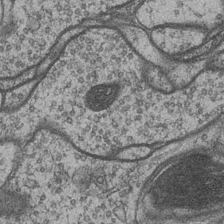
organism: Drosophila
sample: Optic medulla